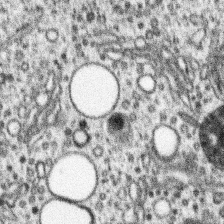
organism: Human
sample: HeLa cells